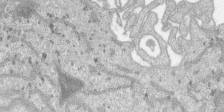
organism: Human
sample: Lung epithelial cells infected with SARS-CoV-2